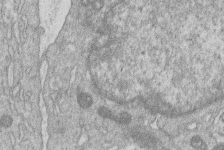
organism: Human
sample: Macrophage cells